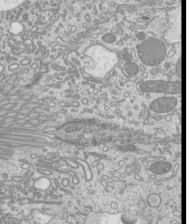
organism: Mouse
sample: Cilia; mouse epididymis